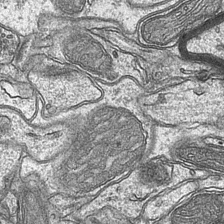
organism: Mouse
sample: CA1 Hippocampus